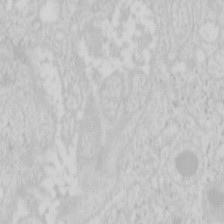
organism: Mouse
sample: Pancreas